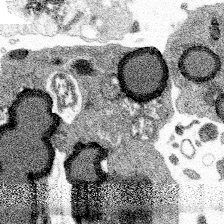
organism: Spongilla lacustris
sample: Multiple